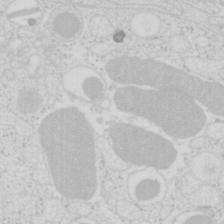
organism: Mouse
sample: Pancreas